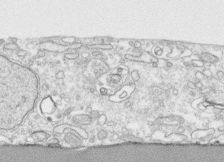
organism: Human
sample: CRL-1474